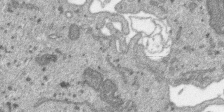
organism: Human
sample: Lung epithelial cells infected with SARS-CoV-2